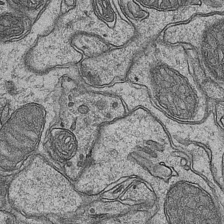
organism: Mouse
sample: CA1 Hippocampus